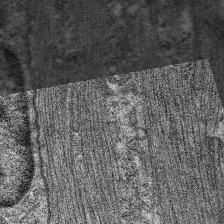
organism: C. elegans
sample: Pharynx